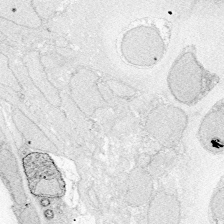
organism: Zebrafish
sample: Whole-Brain